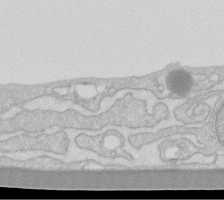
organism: Human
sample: Fibroblast cells